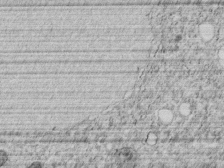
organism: C. elegans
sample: C. elegans embryo early stage